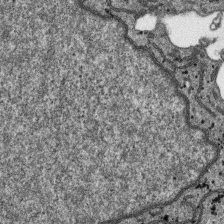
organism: Human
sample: Lung epithelial cells infected with SARS-CoV-2